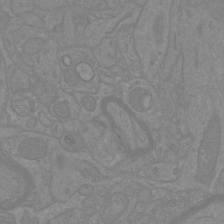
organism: Mouse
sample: Cortical neurons